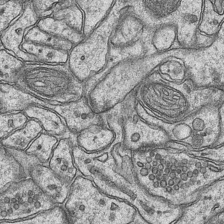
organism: Mouse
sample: CA1 Hippocampus